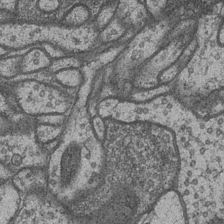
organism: Drosophila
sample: Optic medulla